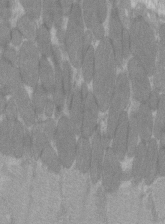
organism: C57BL Mouse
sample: Tibialis anterior muscle cell